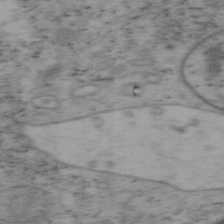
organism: Mouse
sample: OT-I killer T cells with ID8 ovarian cancer cells